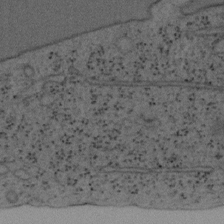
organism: Human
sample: HeLa cells